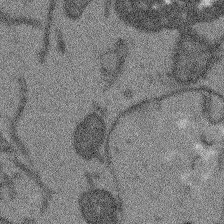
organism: Arabidopsis thaliana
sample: Root tip